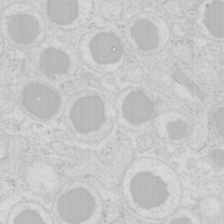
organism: Mouse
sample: Pancreas